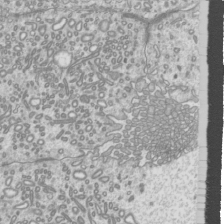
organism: Mouse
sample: Cilia; mouse epididymis